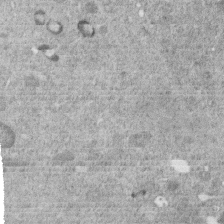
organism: C. elegans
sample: C. elegans embryo early stage